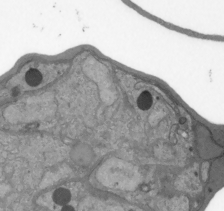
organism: Plasmodium falciparum